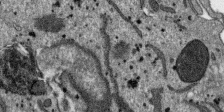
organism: Human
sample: Lung epithelial cells, uninfected (mock) control